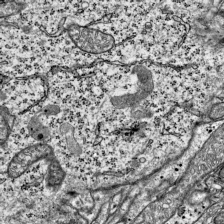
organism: Mouse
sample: Visual Cortex